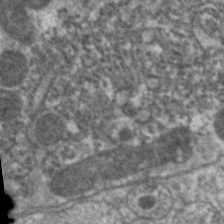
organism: C. elegans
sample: Pharynx